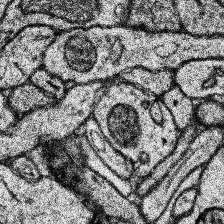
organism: Human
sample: Temporal Lobe